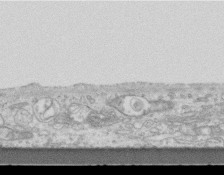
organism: Mouse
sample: Centriole in ependymal cells